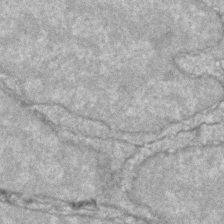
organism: Zebrafish